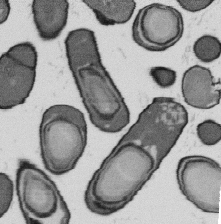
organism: B. subtilis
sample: Bacterial spore